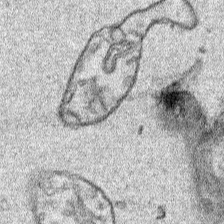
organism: Human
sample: Mitochondria in HCT116 cells